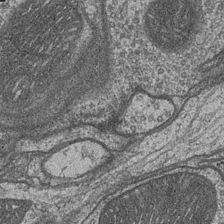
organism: Drosophila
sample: Optic medulla